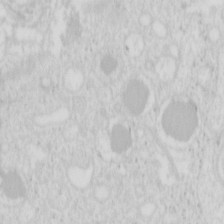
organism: Mouse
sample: Pancreas